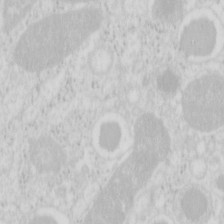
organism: Mouse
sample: Pancreas